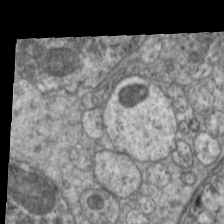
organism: C. elegans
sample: Pharynx